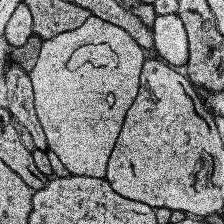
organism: Human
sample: Temporal Lobe